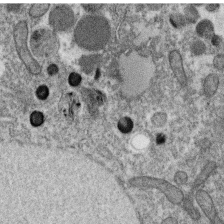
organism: C. elegans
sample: C. elegans oocyte; sperm cells